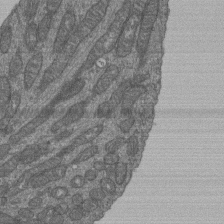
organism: Human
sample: Retinal organoid Rod and Cone cells